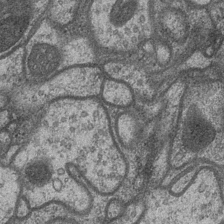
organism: Drosophila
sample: Optic medulla